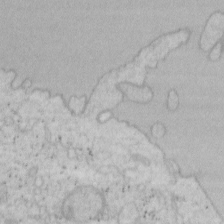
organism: Human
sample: HeLa cells